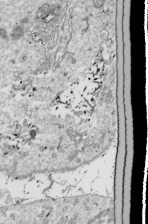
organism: Drosophila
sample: Cell division; meiosis; drosophila spermatocytes